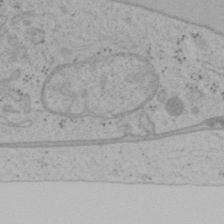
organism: Human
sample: HeLa cells